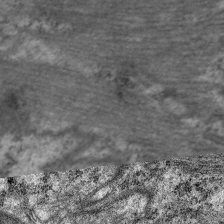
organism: C. elegans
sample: Pharynx